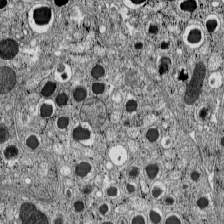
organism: C57BL Mouse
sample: Pancreatic islet